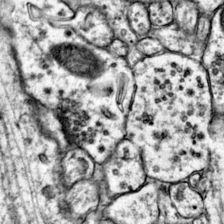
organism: Mouse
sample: Primary visual cortex